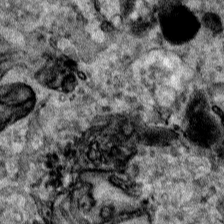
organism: Human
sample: Mitochondria in HCT116 cells